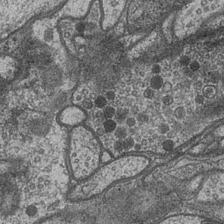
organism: Drosophila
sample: Optic medulla